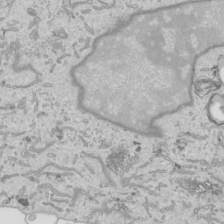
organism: Human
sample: Mitochondria in HCT116 cells